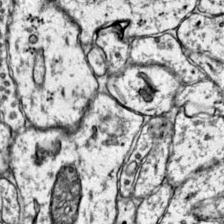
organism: Mouse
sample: Primary visual cortex